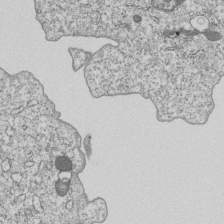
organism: Human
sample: MDA-MB-231 cells